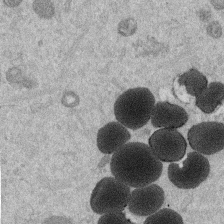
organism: Mouse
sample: Dividing mouse embryo 1 cell stage